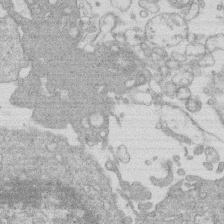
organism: Human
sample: Macrophage cells